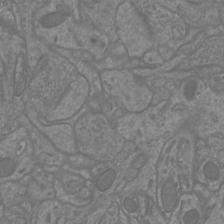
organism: Mouse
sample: Cortical neurons